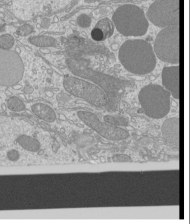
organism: Mouse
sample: Cilia; mouse epididymis